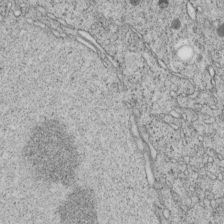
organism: C. elegans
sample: C. elegans embryo early stage